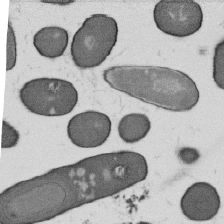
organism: B. subtilis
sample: Bacterial spore